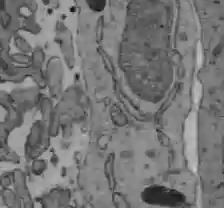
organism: C57BL Mouse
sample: Liver